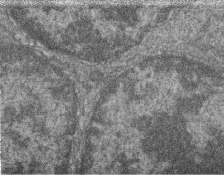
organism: Zebrafish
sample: Cilia; retinal pigment epithelium